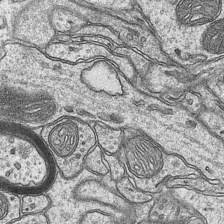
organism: Mouse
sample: CA1 Hippocampus